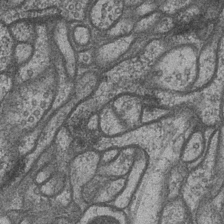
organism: Drosophila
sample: Optic medulla